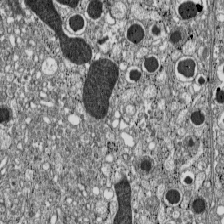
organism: C57BL Mouse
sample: Pancreatic islet